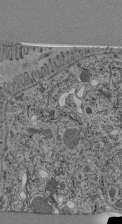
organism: C. elegans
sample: C. elegans pharynx